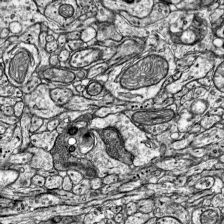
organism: Mouse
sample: Visual Cortex